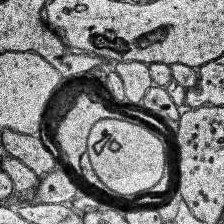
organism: Human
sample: Temporal Lobe